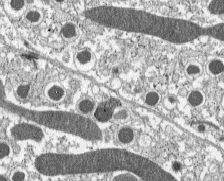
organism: C57BL Mouse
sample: Pancreatic islet